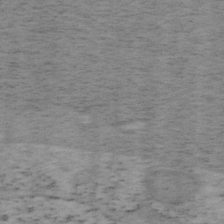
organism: Mouse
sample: OT-I killer T cells with ID8 ovarian cancer cells